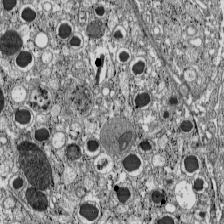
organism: C57BL Mouse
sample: Pancreatic islet